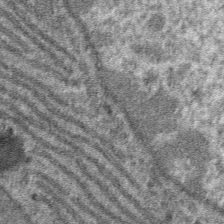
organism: Mouse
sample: Mouse hepatocytes